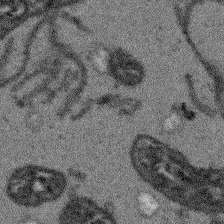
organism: Arabidopsis thaliana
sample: Root tip